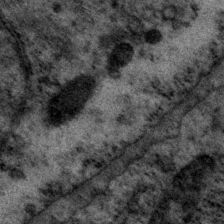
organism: P. pacificus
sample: Pharynx